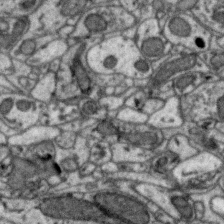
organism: Zebra finch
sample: Brain